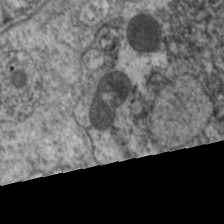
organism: C. elegans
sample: Pharynx